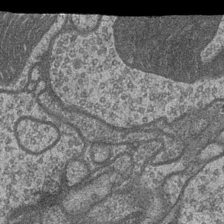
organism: Drosophila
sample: Optic medulla